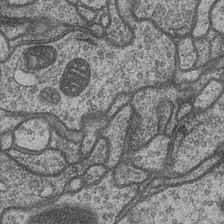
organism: Drosophila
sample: Optic medulla